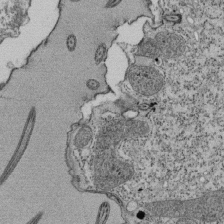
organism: Tetrahymena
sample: Cilia in tetrahymena